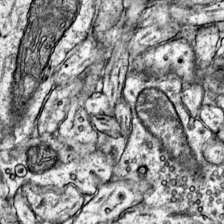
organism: Mouse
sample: Primary visual cortex